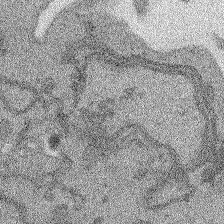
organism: Human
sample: HeLa cells